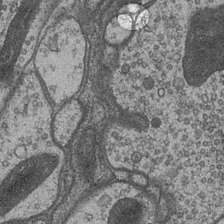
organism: Drosophila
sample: Optic medulla